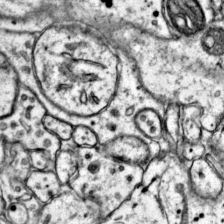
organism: Mouse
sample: Primary visual cortex